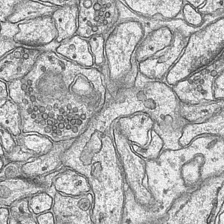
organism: Mouse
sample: CA1 Hippocampus